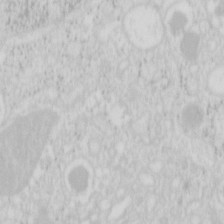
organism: Mouse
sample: Pancreas